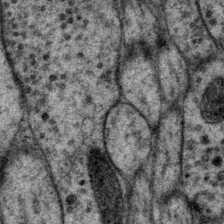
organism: P. pacificus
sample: Pharynx